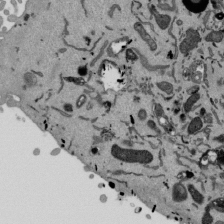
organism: Mouse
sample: ED-1 cell nuclei; centrioles